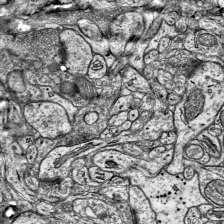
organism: Mouse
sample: Visual Cortex